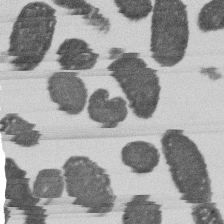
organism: E. coli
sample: Bacterial nucleoid